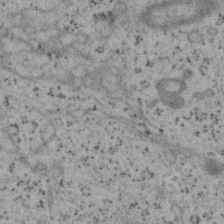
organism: Human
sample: HeLa cells